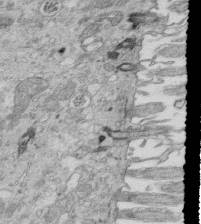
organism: Mouse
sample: Multiciliated cells